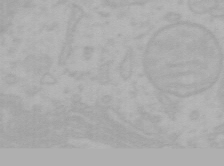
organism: Mouse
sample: Choroid plexus